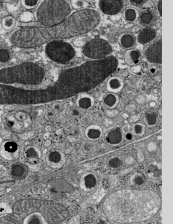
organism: C57BL Mouse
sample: Pancreatic islet